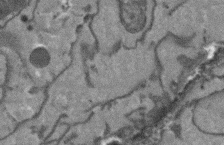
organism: Arabidopsis thaliana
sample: Root tip